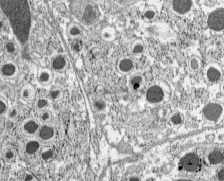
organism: C57BL Mouse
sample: Pancreatic islet